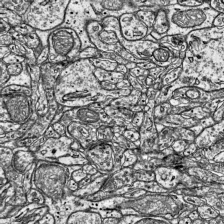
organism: Mouse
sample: Visual Cortex